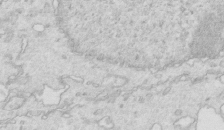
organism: Mouse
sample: Multiciliated cells